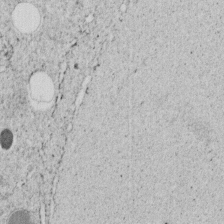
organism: C. elegans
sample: C. elegans embryo early stage